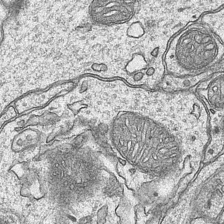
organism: Mouse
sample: CA1 Hippocampus